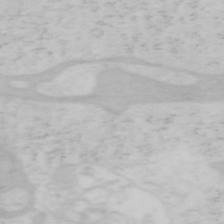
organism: Mouse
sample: OT-I killer T cells with ID8 ovarian cancer cells